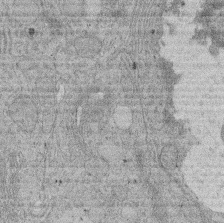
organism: Rat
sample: Salivary granule